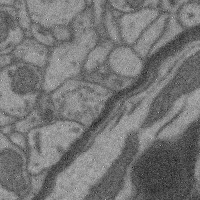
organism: Mouse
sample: Cerebral cortex